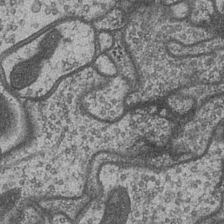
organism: Drosophila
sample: Optic medulla